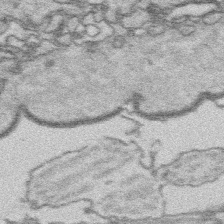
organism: Platynereis dumerilii